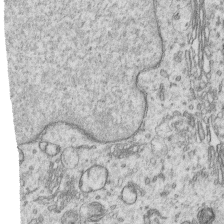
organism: Human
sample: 1205lu cells